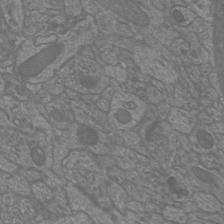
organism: Mouse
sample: Cortical neurons